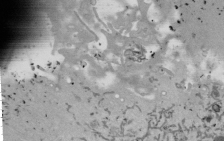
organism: Mouse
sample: ED-1 cell nuclei; centrioles